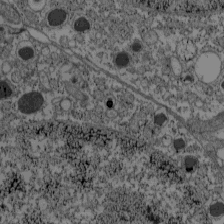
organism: C57BL Mouse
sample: Pancreatic islet